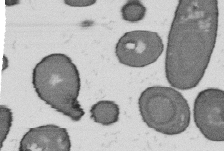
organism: B. subtilis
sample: Bacterial spore